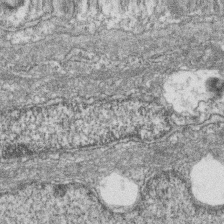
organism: Zebrafish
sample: Cilia; retinal pigment epithelium